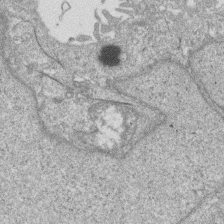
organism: Human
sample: HeLa cell HIV synapse